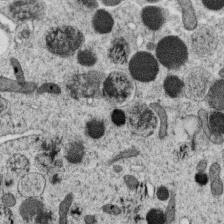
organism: C. elegans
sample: C. elegans oocyte; sperm cells